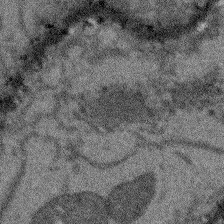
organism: Arabidopsis thaliana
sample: Root tip